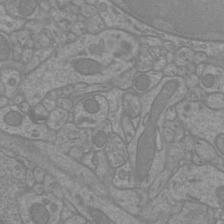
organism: Mouse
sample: Cortical neurons